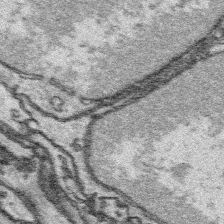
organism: Platynereis dumerilii